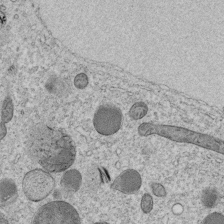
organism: C. elegans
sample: C. elegans embryo early stage